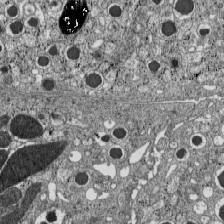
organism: C57BL Mouse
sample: Pancreatic islet